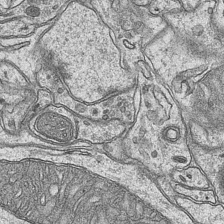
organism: Mouse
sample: CA1 Hippocampus